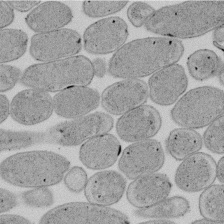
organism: E. coli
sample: Bacterial nucleoid